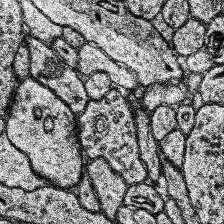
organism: Human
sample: Temporal Lobe